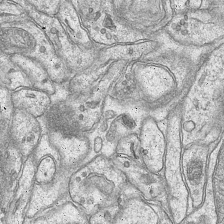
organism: Mouse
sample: CA1 Hippocampus